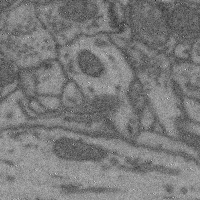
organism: Mouse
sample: Cerebral cortex